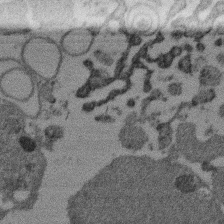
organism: Mouse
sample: Dividing mouse embryo 1 cell stage